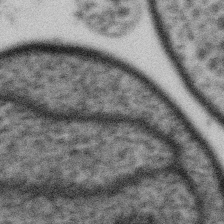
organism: Gemmata obscuriglobus